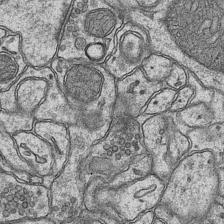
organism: Mouse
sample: CA1 Hippocampus